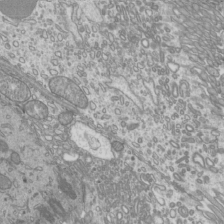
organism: Mouse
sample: Cilia; mouse epididymis